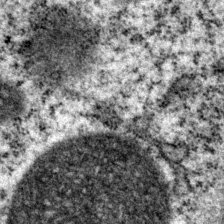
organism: P. pacificus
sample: Pharynx